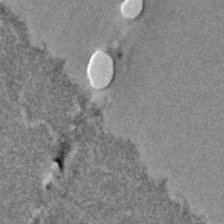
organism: C. elegans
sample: C. elegans embryo